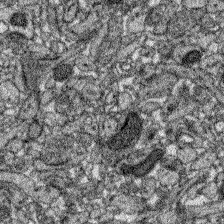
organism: Zebrafish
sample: Larval olfactory bulb